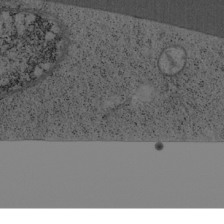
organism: African green monkey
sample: COS-7 cells